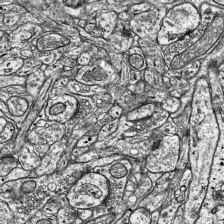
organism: Mouse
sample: Visual Cortex